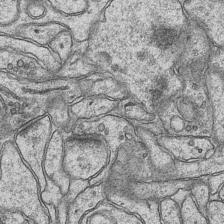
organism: Mouse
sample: CA1 Hippocampus